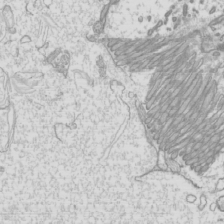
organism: Mouse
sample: Cilia; mouse epididymis